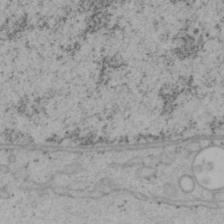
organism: Human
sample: HeLa cells